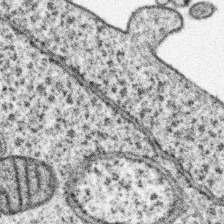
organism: Human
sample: HeLa cells